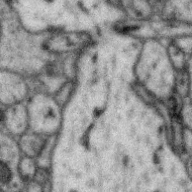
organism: Zebra finch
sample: Brain